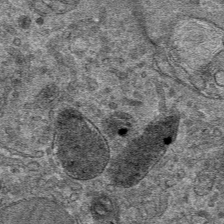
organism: Mouse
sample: Mouse hepatocytes